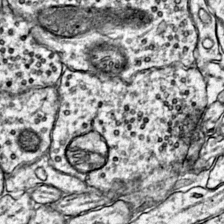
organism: Mouse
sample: Primary visual cortex